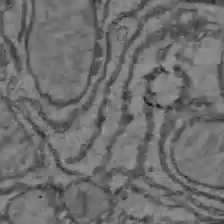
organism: C57BL Mouse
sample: Liver